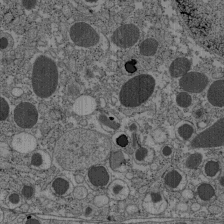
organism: C57BL Mouse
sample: Pancreatic islet